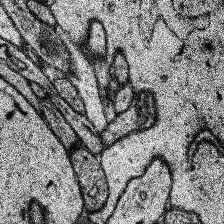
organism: Human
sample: Temporal Lobe